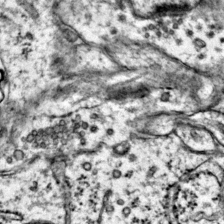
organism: Mouse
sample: Primary visual cortex